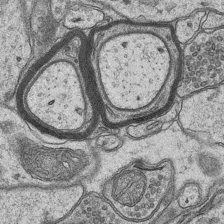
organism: Mouse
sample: CA1 Hippocampus